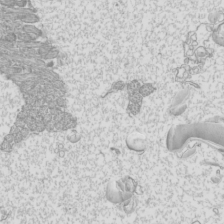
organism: Mouse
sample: Cilia; mouse epididymis